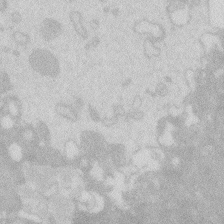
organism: Zebrafish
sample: Macrophage